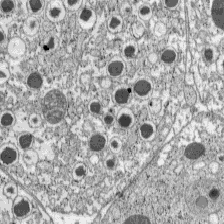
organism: C57BL Mouse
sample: Pancreatic islet